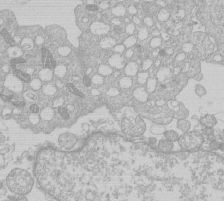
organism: Human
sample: Macrophage cells